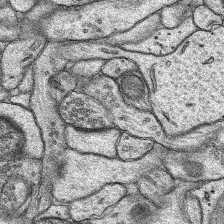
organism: Rat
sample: Hippocampus